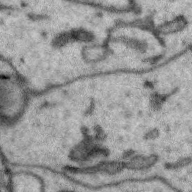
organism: Zebra finch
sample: Brain